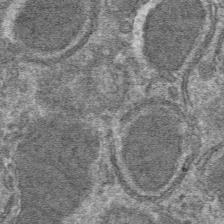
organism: Mouse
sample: Mouse hepatocytes